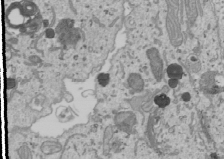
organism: Human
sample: Mitochondria in U2OS cells